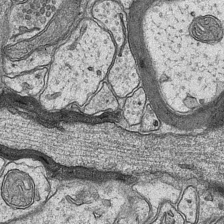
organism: Mouse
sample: CA1 Hippocampus